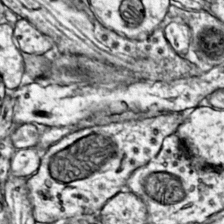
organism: Mouse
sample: Primary visual cortex